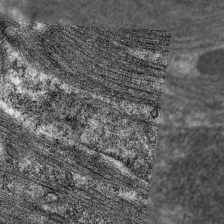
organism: C. elegans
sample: Pharynx